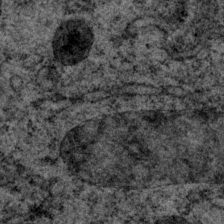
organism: P. pacificus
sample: Pharynx